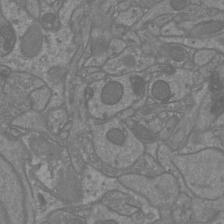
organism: Mouse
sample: Cortical neurons